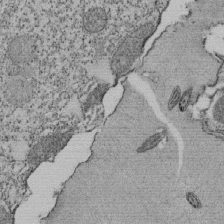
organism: Tetrahymena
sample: Cilia in tetrahymena